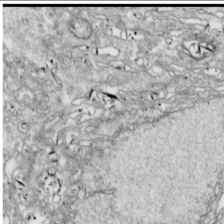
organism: Drosophila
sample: Cell division; meiosis; drosophila spermatocytes